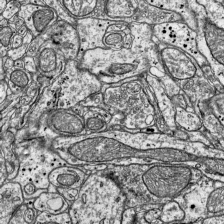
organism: Mouse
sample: Visual Cortex